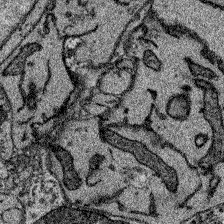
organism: Zebrafish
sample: Larval olfactory bulb